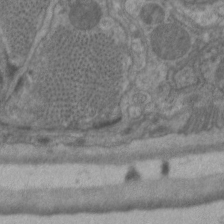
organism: C. elegans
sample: Pharynx